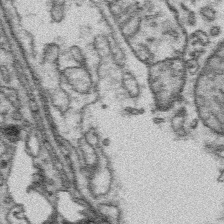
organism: Platynereis dumerilii